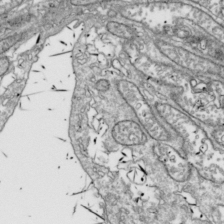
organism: Drosophila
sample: Cell division; meiosis; drosophila spermatocytes